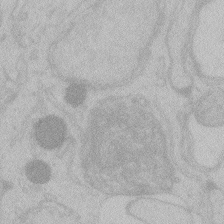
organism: Zebrafish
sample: Macrophage infected with Toxoplasma gondii